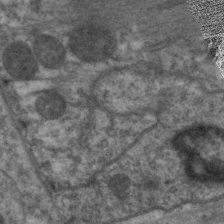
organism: C. elegans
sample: Pharynx